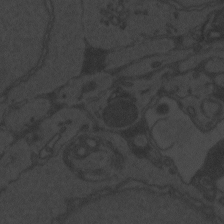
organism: Zebrafish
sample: Macrophage infected with Toxoplasma gondii